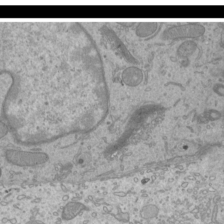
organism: Mouse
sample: Cilia; mouse epididymis